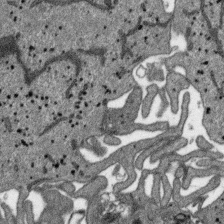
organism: Human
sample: Lung epithelial cells, uninfected (mock) control